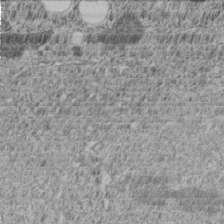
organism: C. elegans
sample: C. elegans embryo early stage